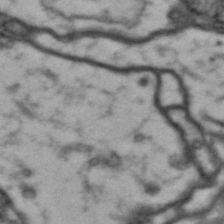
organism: Drosophila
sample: Brain